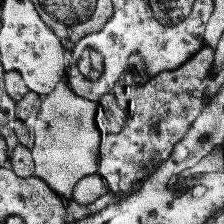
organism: Human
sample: Temporal Lobe